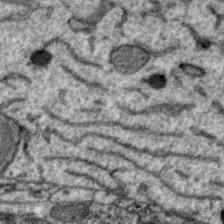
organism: Zebra finch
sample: Brain